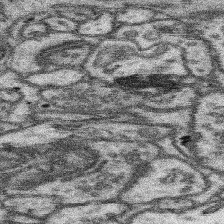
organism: Mouse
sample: Somatosensory cortex neuropil